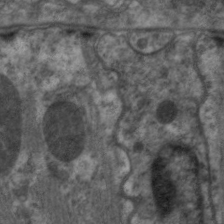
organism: C. elegans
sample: Pharynx